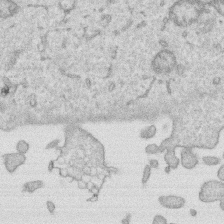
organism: Human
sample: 1205lu cells